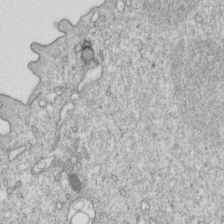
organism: Mouse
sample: Activated OT-1 CD8+ T cells